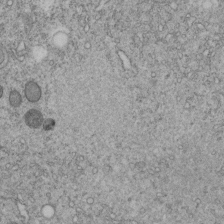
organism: C. elegans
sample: C. elegans embryo early stage